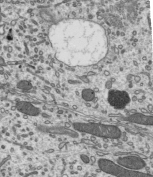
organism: Mouse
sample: Mouse epididymis efferent ductule cilia